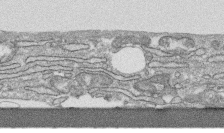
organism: Human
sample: CRL-1474